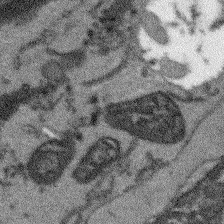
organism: Arabidopsis thaliana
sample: Root tip